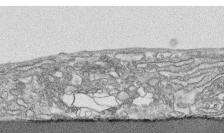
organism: Human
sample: CRL-1474